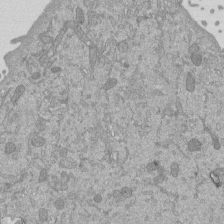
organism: Mouse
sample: ED-1 cell nuclei; centrioles